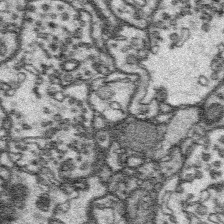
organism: Platynereis dumerilii